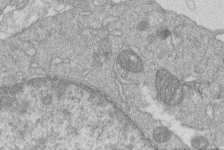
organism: Human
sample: Macrophage cells